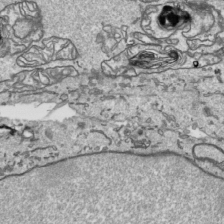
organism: Human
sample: Mitochondria in HCT116 cells